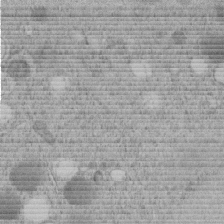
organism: C. elegans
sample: C. elegans embryo early stage